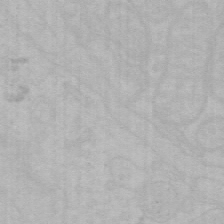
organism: Mouse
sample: Choroid plexus